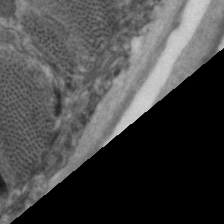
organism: C. elegans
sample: Pharynx